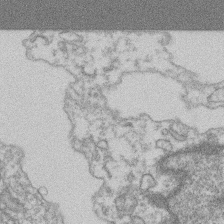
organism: Mouse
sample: T cell stromal cell synapse